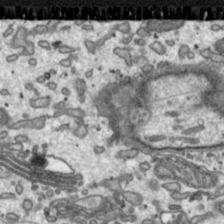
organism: Toxoplasma gondii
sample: Parasites in a vacuole inside a host cell